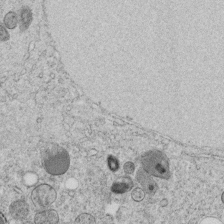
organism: C. elegans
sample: C. elegans embryo early stage